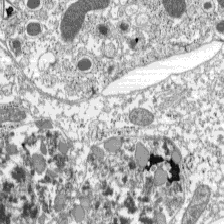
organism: C57BL Mouse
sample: Pancreatic islet